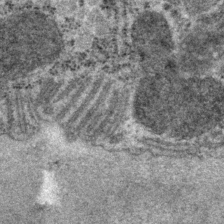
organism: P. pacificus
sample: Pharynx